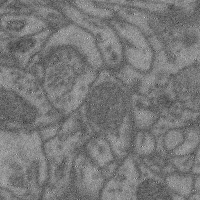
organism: Mouse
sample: Cerebral cortex